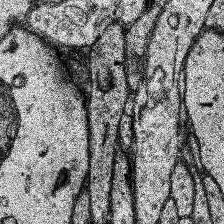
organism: Human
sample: Temporal Lobe